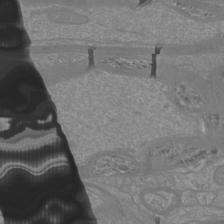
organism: Mouse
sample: Cortical neurons